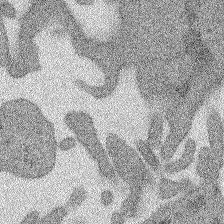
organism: Human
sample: HeLa cells